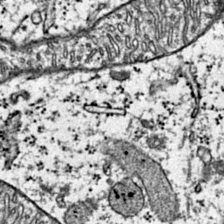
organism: Mouse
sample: Primary visual cortex